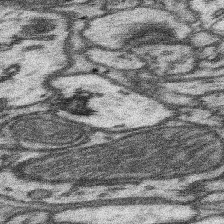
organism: Mouse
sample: Somatosensory cortex neuropil